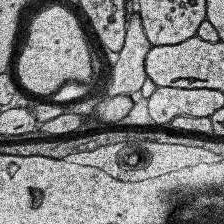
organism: Human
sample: Temporal Lobe